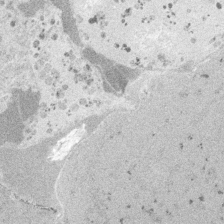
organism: Embia sp.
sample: Silk gland